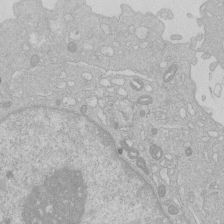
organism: Human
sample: Macrophage cells